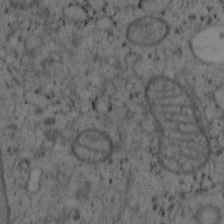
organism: Human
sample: HeLa cells